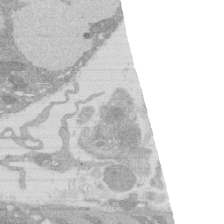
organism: Rat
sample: Salivary granule